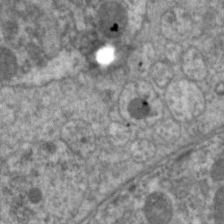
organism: C. elegans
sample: Pharynx